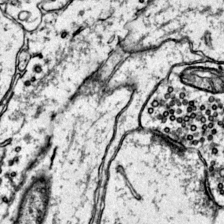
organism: Mouse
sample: Primary visual cortex